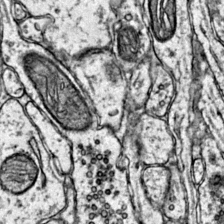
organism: Mouse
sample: Primary visual cortex